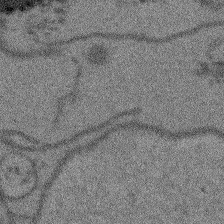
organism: Arabidopsis thaliana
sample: Root tip